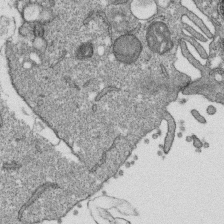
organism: African green monkey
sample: Vero E6 cells infected with SARS-CoV-2